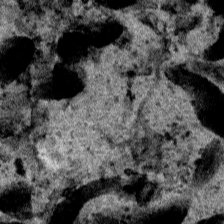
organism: Human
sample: Mitochondria in HCT116 cells